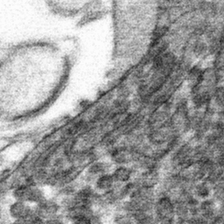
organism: Mouse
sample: Mouse hepatocytes